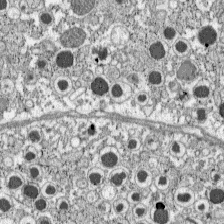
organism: C57BL Mouse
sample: Pancreatic islet